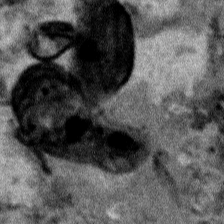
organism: Human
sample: Mitochondria in HCT116 cells